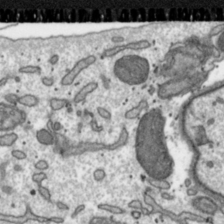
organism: Toxoplasma gondii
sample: Parasites in a vacuole inside a host cell